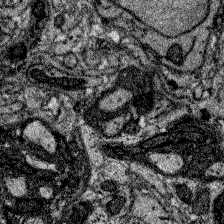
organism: Zebrafish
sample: Larval olfactory bulb